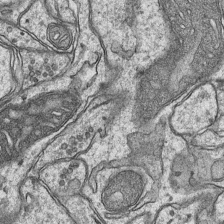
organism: Mouse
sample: CA1 Hippocampus